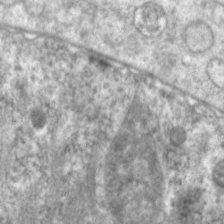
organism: C. elegans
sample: Pharynx